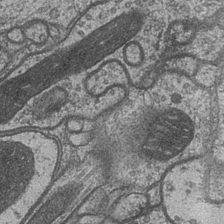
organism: Drosophila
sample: Optic medulla